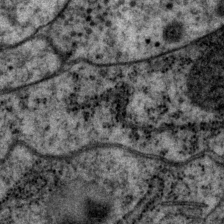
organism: P. pacificus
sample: Pharynx